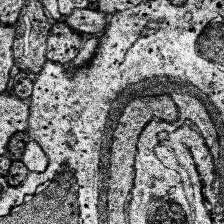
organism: Human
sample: Temporal Lobe